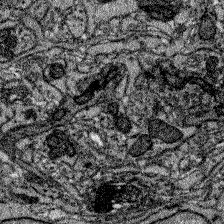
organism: Zebrafish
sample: Larval olfactory bulb